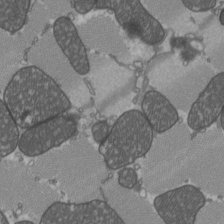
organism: C57BL Mouse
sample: Heart